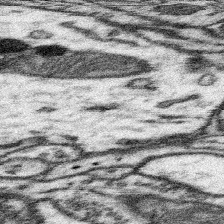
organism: Mouse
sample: Somatosensory cortex neuropil